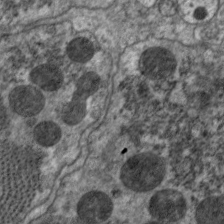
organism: C. elegans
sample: Pharynx